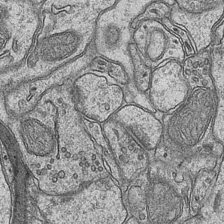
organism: Mouse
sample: CA1 Hippocampus